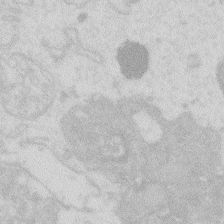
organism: Zebrafish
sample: Macrophage